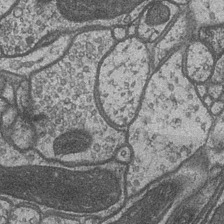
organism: Drosophila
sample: Optic medulla